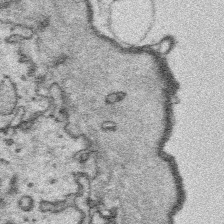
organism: Platynereis dumerilii